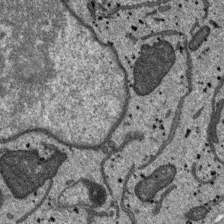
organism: Human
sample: Lung epithelial cells, uninfected (mock) control